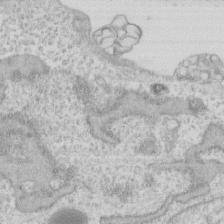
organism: Human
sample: Fibroblast cells